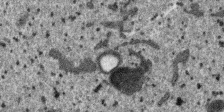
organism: Human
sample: Lung epithelial cells infected with SARS-CoV-2